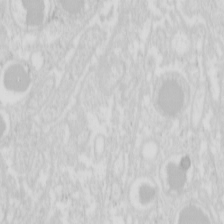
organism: Mouse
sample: Pancreas